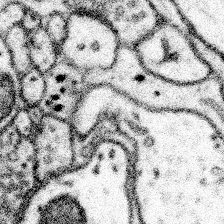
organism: Mouse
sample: Somatosensory cortex neuropil